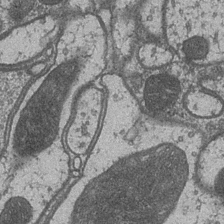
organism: Drosophila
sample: Optic medulla